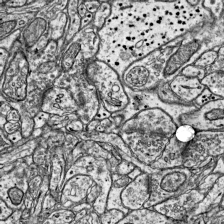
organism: Mouse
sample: Visual Cortex